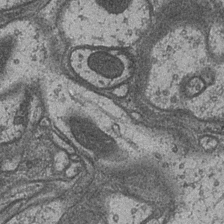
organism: Drosophila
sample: Optic medulla